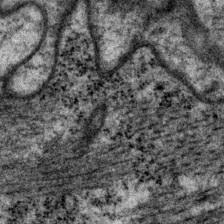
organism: P. pacificus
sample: Pharynx